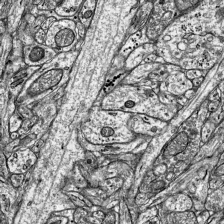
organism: Mouse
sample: Visual Cortex